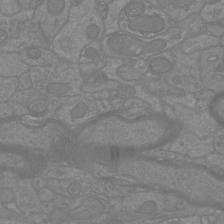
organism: Mouse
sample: Cortical neurons